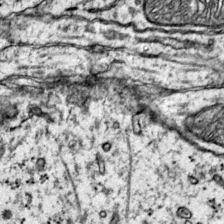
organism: Mouse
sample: Primary visual cortex